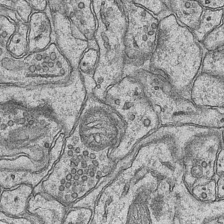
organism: Mouse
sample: CA1 Hippocampus